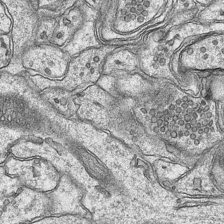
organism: Mouse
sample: CA1 Hippocampus